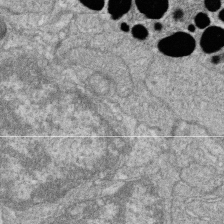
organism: Zebrafish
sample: Cilia; retinal pigment epithelium